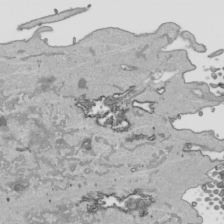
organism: Human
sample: Mitochondria in HCT116 cells